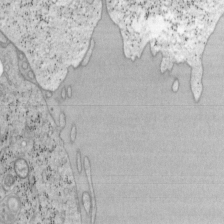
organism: Mouse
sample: OT-I killer T cells with ID8 ovarian cancer cells